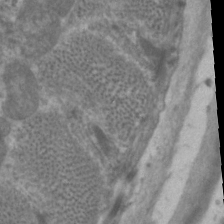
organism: C. elegans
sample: Pharynx